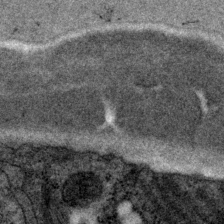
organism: P. pacificus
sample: Pharynx